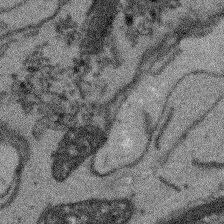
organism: Arabidopsis thaliana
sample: Root tip